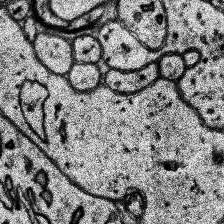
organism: Human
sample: Temporal Lobe